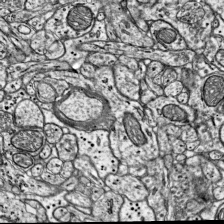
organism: Mouse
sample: Visual Cortex